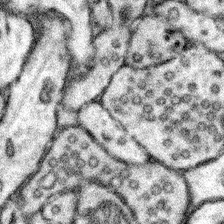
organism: Mouse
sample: Somatosensory cortex neuropil